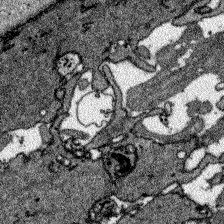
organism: Zebrafish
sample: Larval olfactory bulb